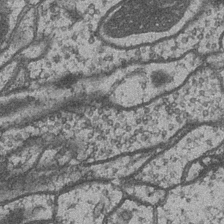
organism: Drosophila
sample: Optic medulla